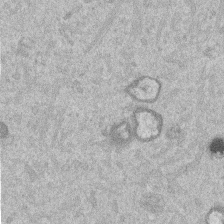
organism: Mouse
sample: Dividing mouse embryo 1 cell stage